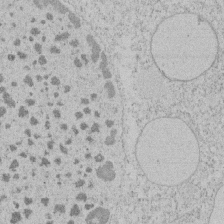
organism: Tetrahymena